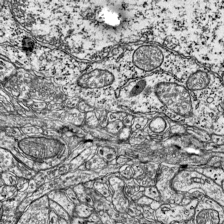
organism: Mouse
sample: Visual Cortex